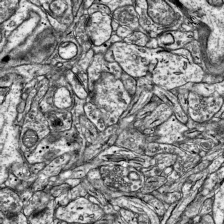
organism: Mouse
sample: Visual Cortex